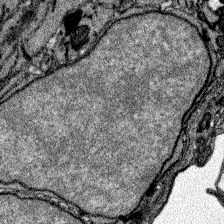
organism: Zebrafish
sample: Larval olfactory bulb